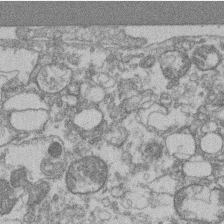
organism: Mouse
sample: T cell stromal cell synapse